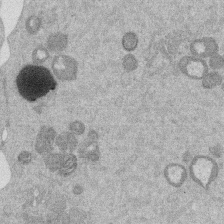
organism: Mouse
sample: Dividing mouse embryo 1 cell stage